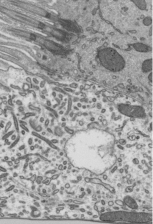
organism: Mouse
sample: Mouse epididymis efferent ductule cilia